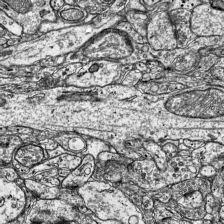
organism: Mouse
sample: Visual Cortex